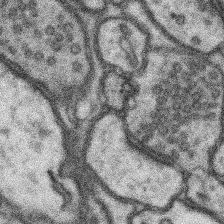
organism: Mouse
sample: Somatosensory cortex neuropil